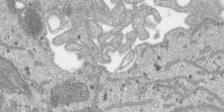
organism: Human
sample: Lung epithelial cells infected with SARS-CoV-2